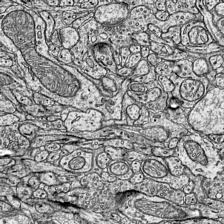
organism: Mouse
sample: Visual Cortex